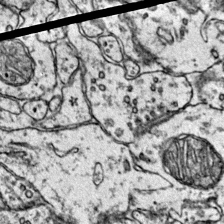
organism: Mouse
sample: Primary visual cortex